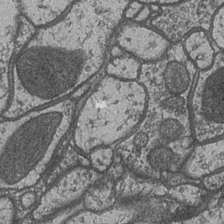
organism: Drosophila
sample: Optic medulla